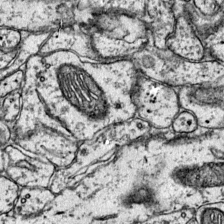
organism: Mouse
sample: Primary visual cortex